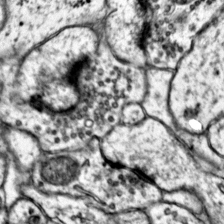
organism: Mouse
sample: Primary visual cortex